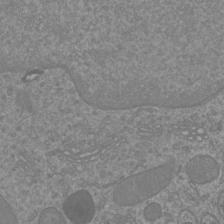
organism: Mouse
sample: Cortical neurons